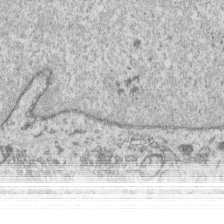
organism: Human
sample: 1205lu cells